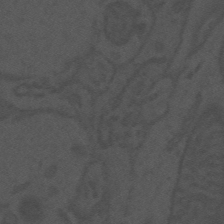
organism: Mouse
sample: Suprachiasmatic nucleus